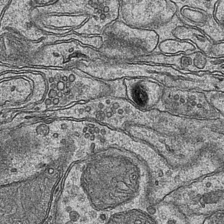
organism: Mouse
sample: CA1 Hippocampus